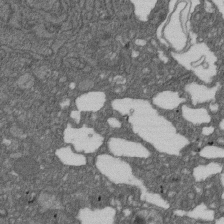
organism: Drosophila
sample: Nephrocyte